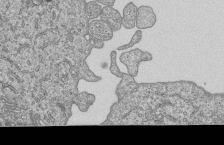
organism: Human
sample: MDA-MB-231 cells